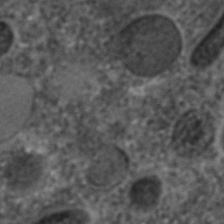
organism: C. elegans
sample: C. elegans embryo